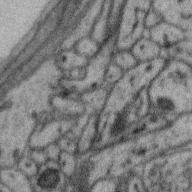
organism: Zebra finch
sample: Brain